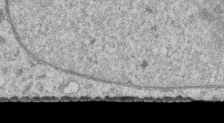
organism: Human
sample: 1205lu cells